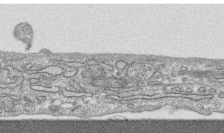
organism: Human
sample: CRL-1474